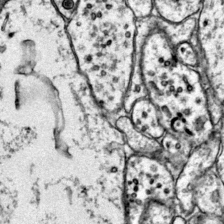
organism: Mouse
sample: Primary visual cortex